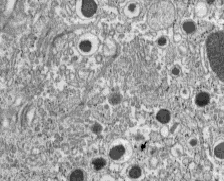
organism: C57BL Mouse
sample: Pancreatic islet